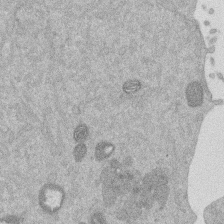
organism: Mouse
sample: Dividing mouse embryo 1 cell stage